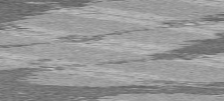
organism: C57BL Mouse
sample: Heart